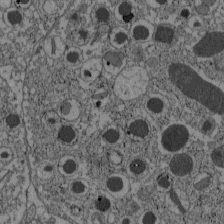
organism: C57BL Mouse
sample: Pancreatic islet